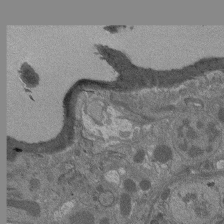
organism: Drosophila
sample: Antenna